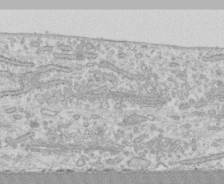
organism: Human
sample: CRL-1474